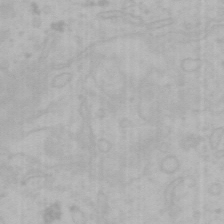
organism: Mouse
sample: Choroid plexus